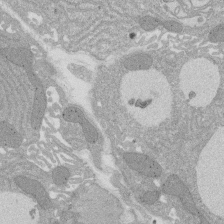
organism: Rat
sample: Salivary granule